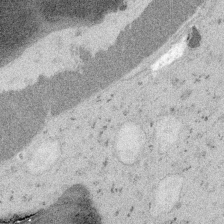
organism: Embia sp.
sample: Silk gland